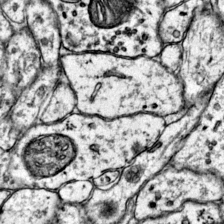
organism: Mouse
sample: Primary visual cortex